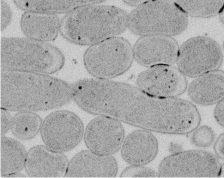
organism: E. coli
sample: Bacterial nucleoid